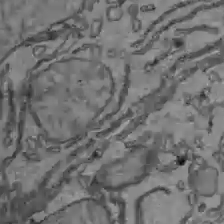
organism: C57BL Mouse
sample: Liver